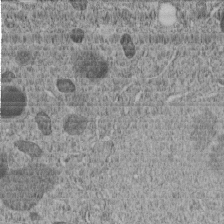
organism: C. elegans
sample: C. elegans embryo early stage